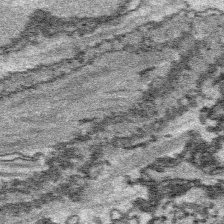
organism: Platynereis dumerilii